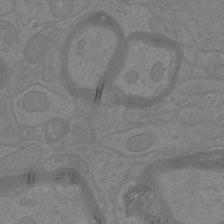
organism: Mouse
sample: Cortical neurons